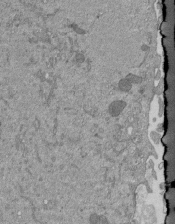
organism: Mouse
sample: ED-1 cell nuclei; centrioles